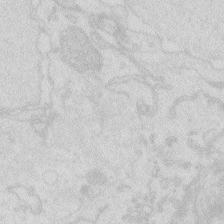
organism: Zebrafish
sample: Macrophage